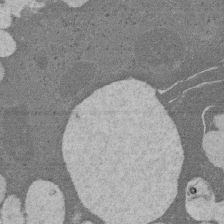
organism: Rat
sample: Salivary granule